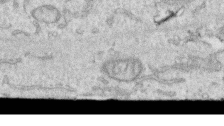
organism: Human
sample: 1205lu cells